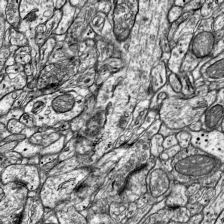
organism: Mouse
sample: Visual Cortex